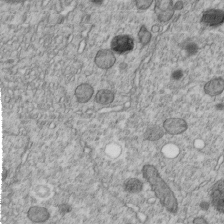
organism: C. elegans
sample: C. elegans embryo early stage